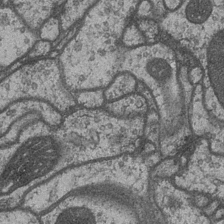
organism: Drosophila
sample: Optic medulla